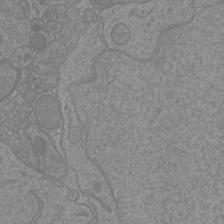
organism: Mouse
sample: Cortical neurons